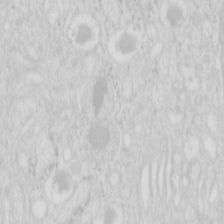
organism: Mouse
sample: Pancreas